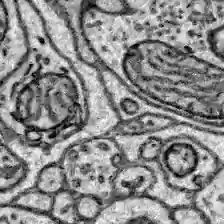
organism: Zebrafish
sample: Brain